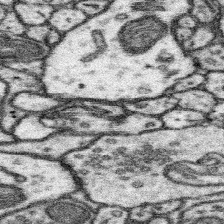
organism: Mouse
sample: Somatosensory cortex neuropil